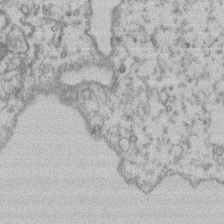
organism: Mouse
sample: T cell stromal cell synapse